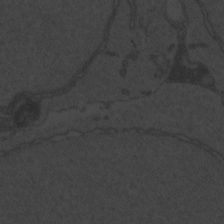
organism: Zebrafish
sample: Macrophage infected with Toxoplasma gondii